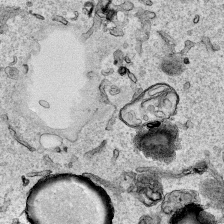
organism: Human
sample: Mitochondria in HCT116 cells